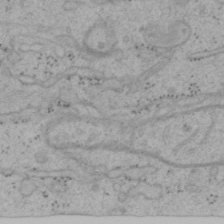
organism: Human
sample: HeLa cells